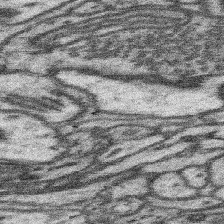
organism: Mouse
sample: Somatosensory cortex neuropil